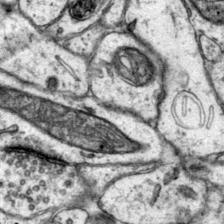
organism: Mouse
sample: Primary visual cortex